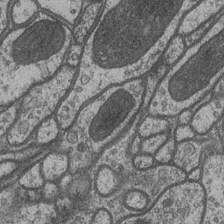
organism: Drosophila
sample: Optic medulla